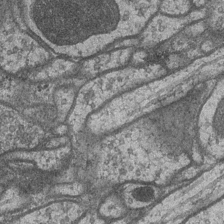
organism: Drosophila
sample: Optic medulla